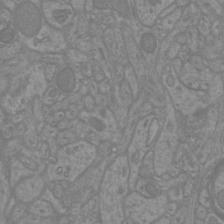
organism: Mouse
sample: Cortical neurons